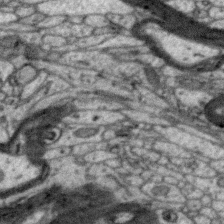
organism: Zebra finch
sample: Brain